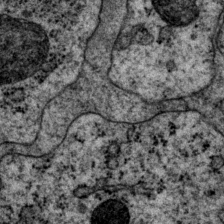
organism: P. pacificus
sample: Pharynx